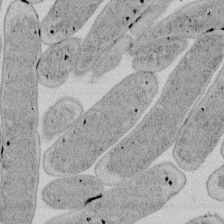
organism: E. coli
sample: Bacterial nucleoid